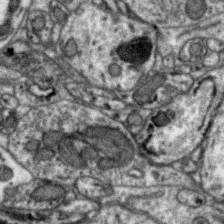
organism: Zebra finch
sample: Brain